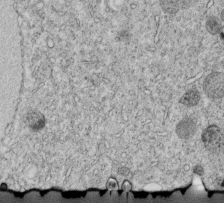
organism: C. elegans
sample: C. elegans embryo early stage